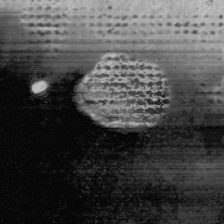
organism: Human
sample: Mitochondria in U2OS cells